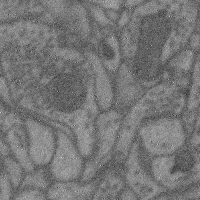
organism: Mouse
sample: Cerebral cortex